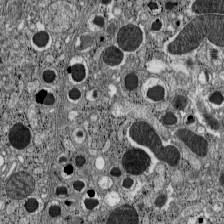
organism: C57BL Mouse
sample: Pancreatic islet